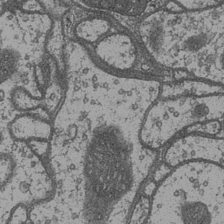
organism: Drosophila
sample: Optic medulla